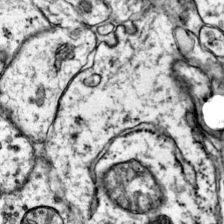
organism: Mouse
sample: Primary visual cortex